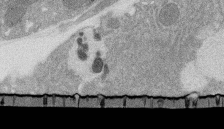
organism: Rat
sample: Salivary granule